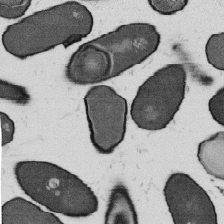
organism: B. subtilis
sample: Bacterial spore